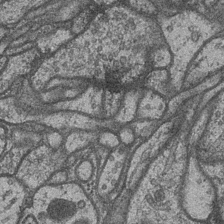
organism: Drosophila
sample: Optic medulla